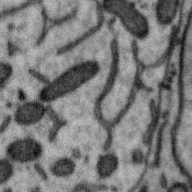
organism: Zebra finch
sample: Brain